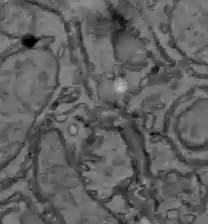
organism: C57BL Mouse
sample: Liver